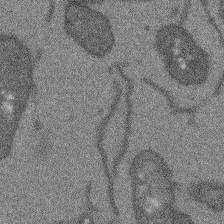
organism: Arabidopsis thaliana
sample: Root tip